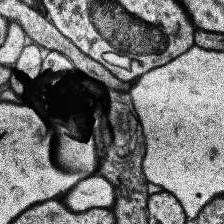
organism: Human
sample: Temporal Lobe